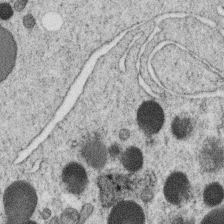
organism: C. elegans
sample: C. elegans oocyte; sperm cells